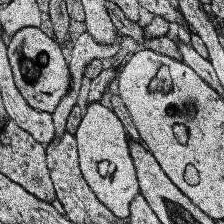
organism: Human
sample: Temporal Lobe